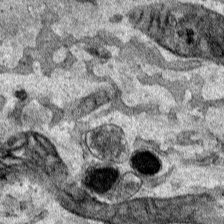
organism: Human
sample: Mitochondria in HCT116 cells